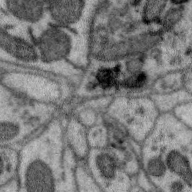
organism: Zebra finch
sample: Brain